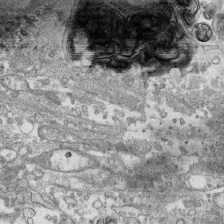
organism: Human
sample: CRL-1474